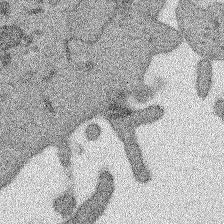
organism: Human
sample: HeLa cells